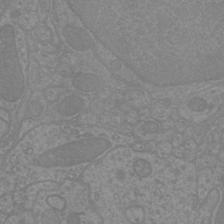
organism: Mouse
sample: Cortical neurons